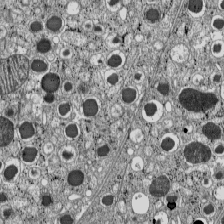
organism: C57BL Mouse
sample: Pancreatic islet